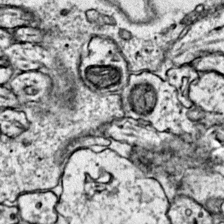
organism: Mouse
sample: Primary visual cortex